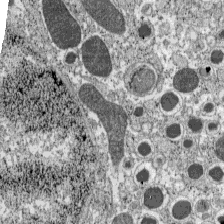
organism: C57BL Mouse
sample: Pancreatic islet